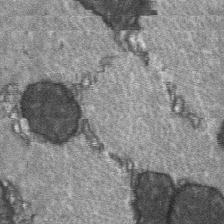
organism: C57BL Mouse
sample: Soleus